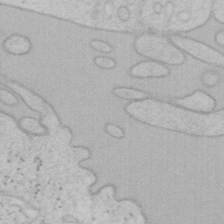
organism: Human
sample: HeLa cells